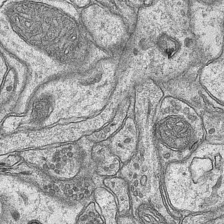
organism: Mouse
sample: CA1 Hippocampus